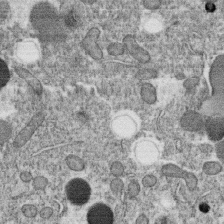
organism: C. elegans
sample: C. elegans oocyte; sperm cells